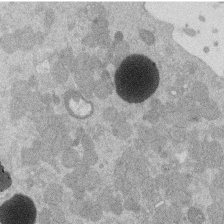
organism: Mouse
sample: Dividing mouse embryo 1 cell stage